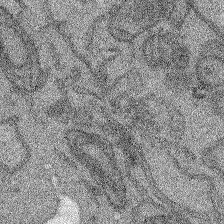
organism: Human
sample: HeLa cells